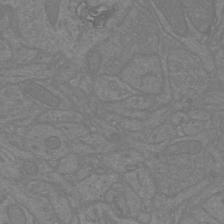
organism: Mouse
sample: Cortical neurons